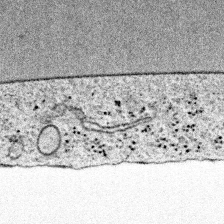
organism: Human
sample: HeLa cells